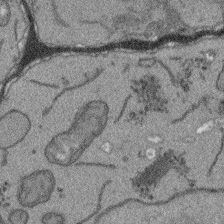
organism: Arabidopsis thaliana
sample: Root tip